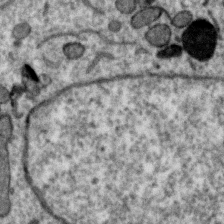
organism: Zebra finch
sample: Brain